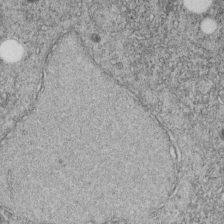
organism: C. elegans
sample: C. elegans embryo early stage